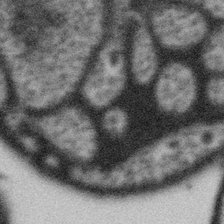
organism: Gemmata obscuriglobus